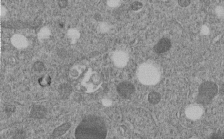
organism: C. elegans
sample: C. elegans embryo early stage